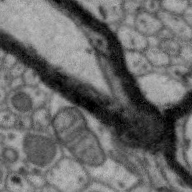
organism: Zebra finch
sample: Brain